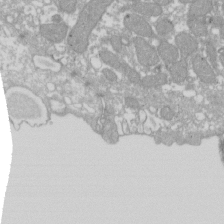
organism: Xenopus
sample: Cilia; centrioles in frog embryo cells